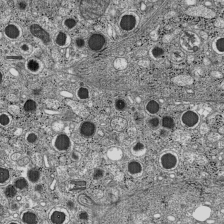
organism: C57BL Mouse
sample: Pancreatic islet